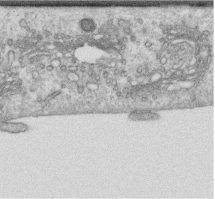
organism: Human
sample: Centriole in RPE cells